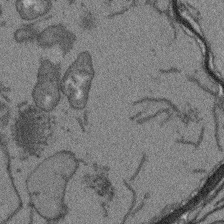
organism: Arabidopsis thaliana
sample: Root tip